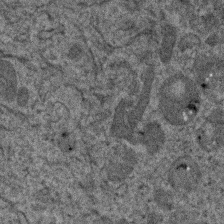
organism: Human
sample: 1205lu cells